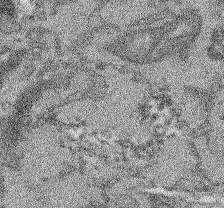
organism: Human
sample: HeLa cells